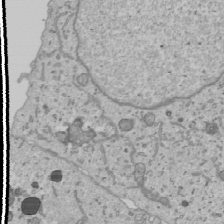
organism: Human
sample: Mitochondria in U2OS cells